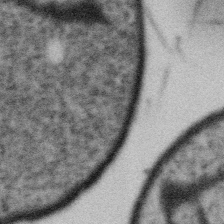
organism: Gemmata obscuriglobus